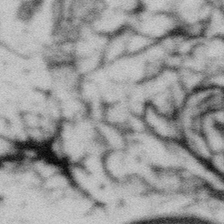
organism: Gemmata obscuriglobus